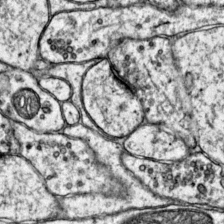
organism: Mouse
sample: Primary visual cortex